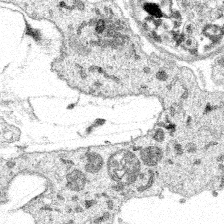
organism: Spongilla lacustris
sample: Multiple